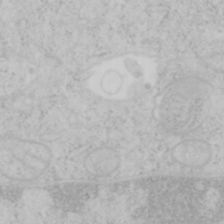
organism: Mouse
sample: OT-I killer T cells with ID8 ovarian cancer cells